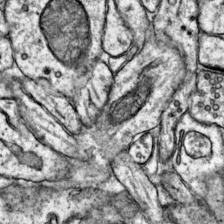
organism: Mouse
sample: Primary visual cortex